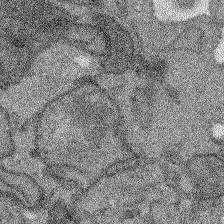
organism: Human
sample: HeLa cells